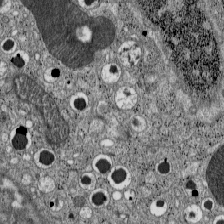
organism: C57BL Mouse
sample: Pancreatic islet